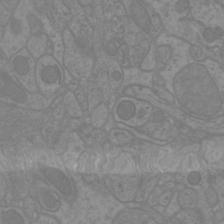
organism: Mouse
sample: Cortical neurons